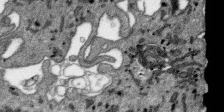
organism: Human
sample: Lung epithelial cells, uninfected (mock) control